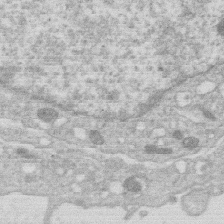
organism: Human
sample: Macrophage cells